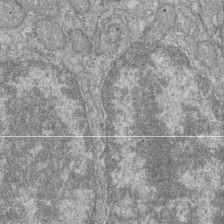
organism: Zebrafish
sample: Cilia; retinal pigment epithelium